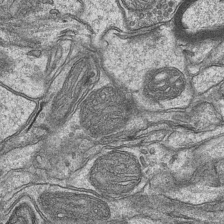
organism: Mouse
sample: CA1 Hippocampus